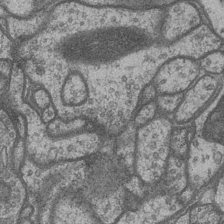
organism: Drosophila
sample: Optic medulla